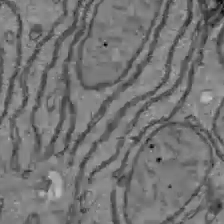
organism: C57BL Mouse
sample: Liver